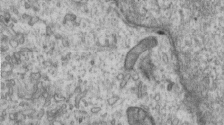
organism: Human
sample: Centriole in RPE cells